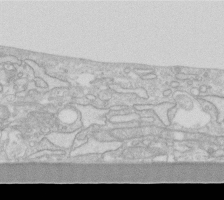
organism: Human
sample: Fibroblast cells